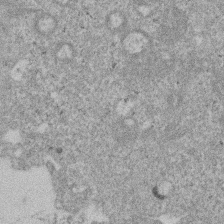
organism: Mouse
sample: Dividing mouse embryo 1 cell stage